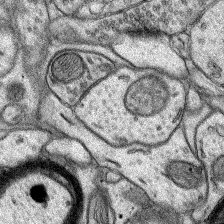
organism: Rat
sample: Hippocampus